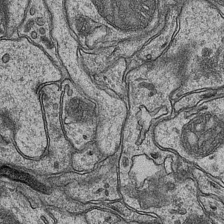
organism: Mouse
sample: CA1 Hippocampus